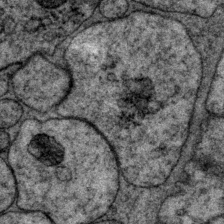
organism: P. pacificus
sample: Pharynx